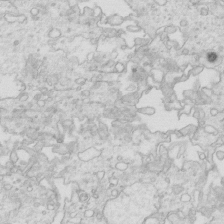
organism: Mouse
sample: Multiciliated cells